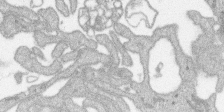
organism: Human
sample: Lung epithelial cells infected with SARS-CoV-2